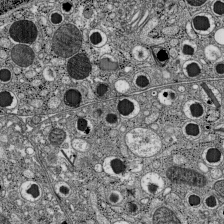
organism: C57BL Mouse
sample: Pancreatic islet